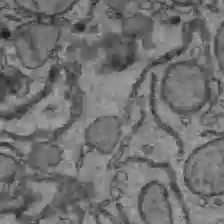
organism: C57BL Mouse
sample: Liver